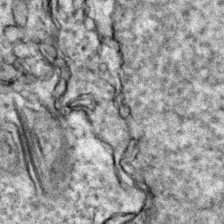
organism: Zebrafish